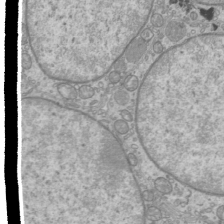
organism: Mouse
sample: Cilia; mouse epididymis